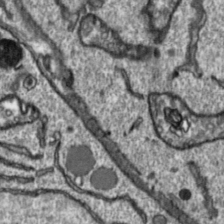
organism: Toxoplasma gondii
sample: Parasites in a vacuole inside a host cell